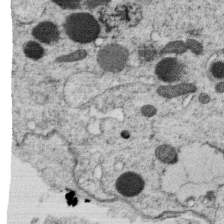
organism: C. elegans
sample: C. elegans oocyte; sperm cells